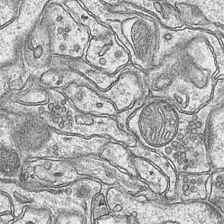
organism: Mouse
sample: CA1 Hippocampus